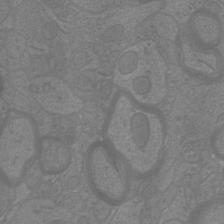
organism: Mouse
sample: Cortical neurons